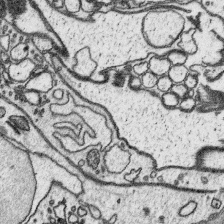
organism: Platynereis dumerilii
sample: Parapodia